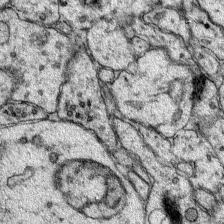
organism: Mouse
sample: Primary visual cortex